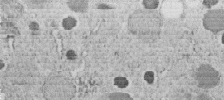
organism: C. elegans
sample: C. elegans embryo early stage